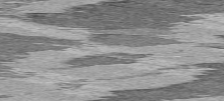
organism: C57BL Mouse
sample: Heart